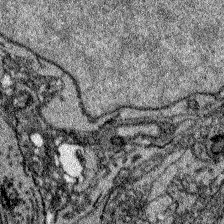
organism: Zebrafish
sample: Larval olfactory bulb